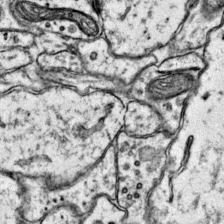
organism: Mouse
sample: Primary visual cortex